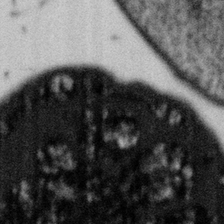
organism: Gemmata obscuriglobus